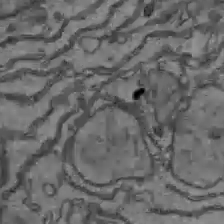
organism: C57BL Mouse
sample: Liver